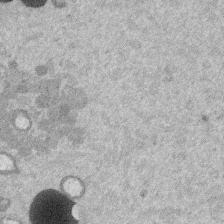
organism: Mouse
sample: Dividing mouse embryo 1 cell stage